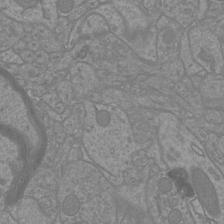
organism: Mouse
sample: Cortical neurons